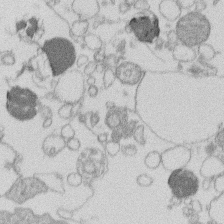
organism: Human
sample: Macrophage cells